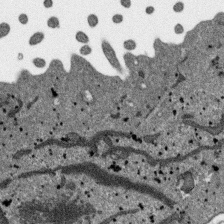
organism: Human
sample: Lung epithelial cells, uninfected (mock) control